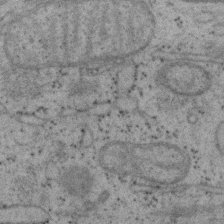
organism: Human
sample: HeLa cells